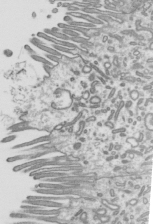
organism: Mouse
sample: Mouse epididymis efferent ductule cilia